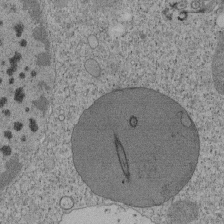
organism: Tetrahymena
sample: Cilia in tetrahymena